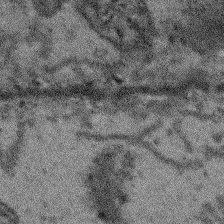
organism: Arabidopsis thaliana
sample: Root tip